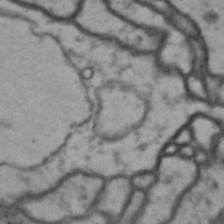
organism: Drosophila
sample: Brain